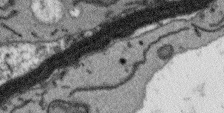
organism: Arabidopsis thaliana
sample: Root tip